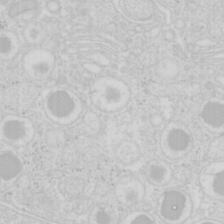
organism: Mouse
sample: Pancreas